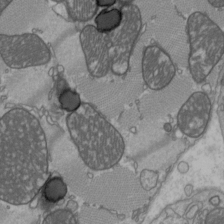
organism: C57BL Mouse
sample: Heart